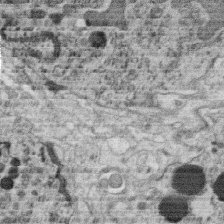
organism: C. elegans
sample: C. elegans oocyte; sperm cells